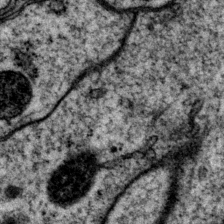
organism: P. pacificus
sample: Pharynx